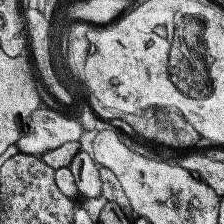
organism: Human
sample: Temporal Lobe